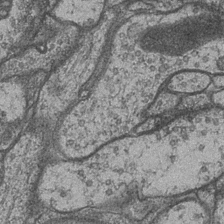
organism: Drosophila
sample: Optic medulla